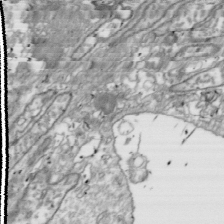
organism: Drosophila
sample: Cell division; meiosis; drosophila spermatocytes